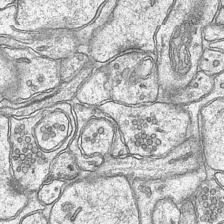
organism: Mouse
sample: CA1 Hippocampus